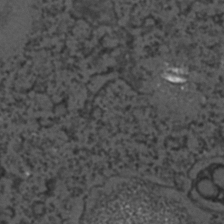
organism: C. elegans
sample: C. elegans embryo